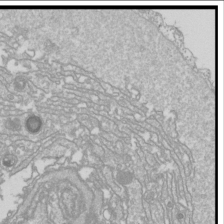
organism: Drosophila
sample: Cell division; meiosis; drosophila spermatocytes